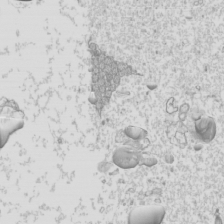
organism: Mouse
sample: Cilia; mouse epididymis